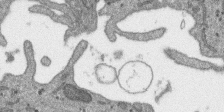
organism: Human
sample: Lung epithelial cells infected with SARS-CoV-2